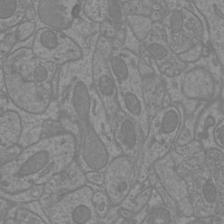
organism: Mouse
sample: Cortical neurons